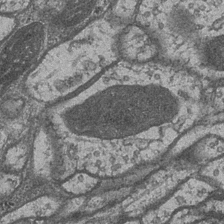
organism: Drosophila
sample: Optic medulla